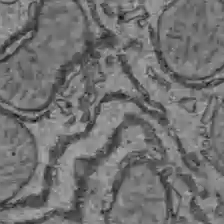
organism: C57BL Mouse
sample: Liver